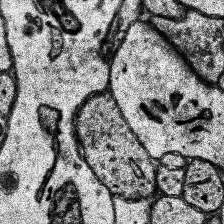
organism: Human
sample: Temporal Lobe